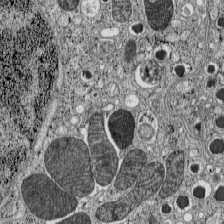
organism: C57BL Mouse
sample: Pancreatic islet